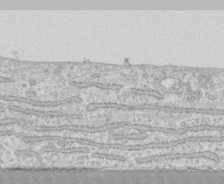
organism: Human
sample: CRL-1474